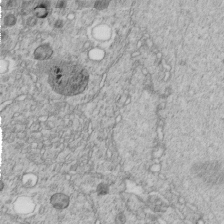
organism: C. elegans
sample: C. elegans embryo early stage